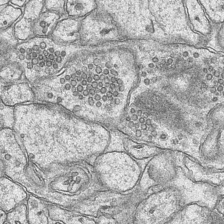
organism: Mouse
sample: CA1 Hippocampus